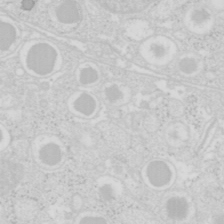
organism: Mouse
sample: Pancreas